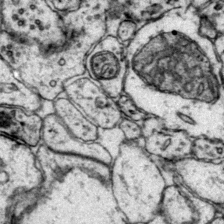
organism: Mouse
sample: Primary visual cortex